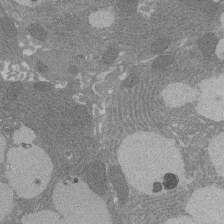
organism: Rat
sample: Salivary granule